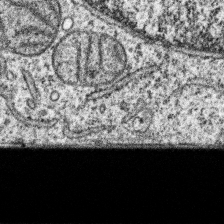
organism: Human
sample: HeLa cells